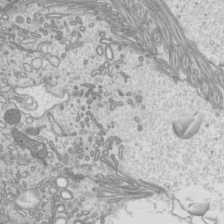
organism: Mouse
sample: Cilia; mouse epididymis